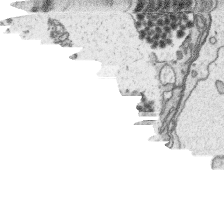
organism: Platynereis dumerilii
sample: Parapodia